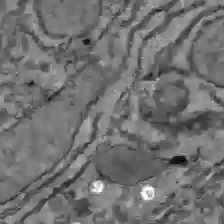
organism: C57BL Mouse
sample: Liver